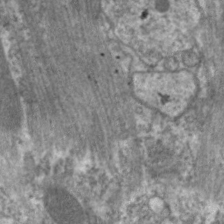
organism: C. elegans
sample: Pharynx